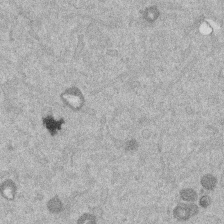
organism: Mouse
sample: Dividing mouse embryo 1 cell stage